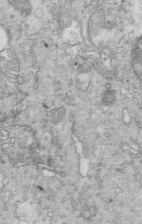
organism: Mouse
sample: Multiciliated cells